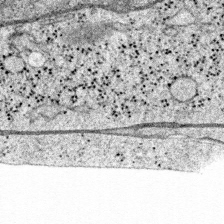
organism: Human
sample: HeLa cells